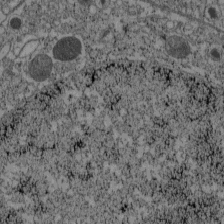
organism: C57BL Mouse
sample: Pancreatic islet